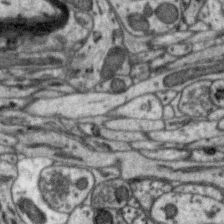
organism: Zebra finch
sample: Brain